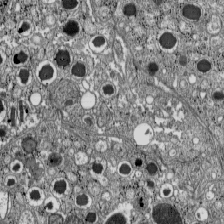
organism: C57BL Mouse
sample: Pancreatic islet